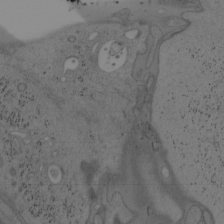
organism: Mouse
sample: OT-I killer T cells with ID8 ovarian cancer cells